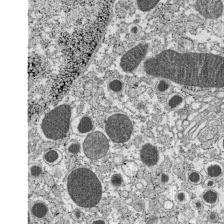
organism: C57BL Mouse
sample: Pancreatic islet